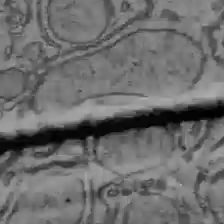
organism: C57BL Mouse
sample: Liver